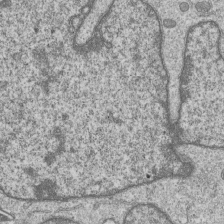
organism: Human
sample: MDA-MB-231 cells